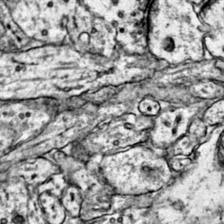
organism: Mouse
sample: Primary visual cortex